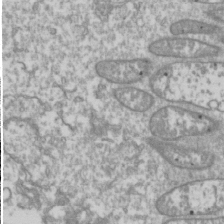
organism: Drosophila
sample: Cell division; meiosis; drosophila spermatocytes